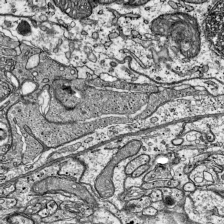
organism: Mouse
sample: Visual Cortex